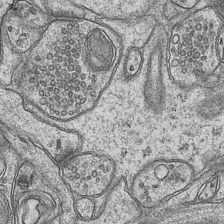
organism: Mouse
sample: CA1 Hippocampus